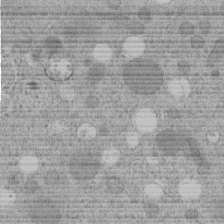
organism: C. elegans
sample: C. elegans embryo early stage